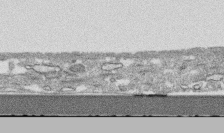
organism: Human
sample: CRL-1474